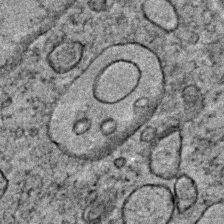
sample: Trachea